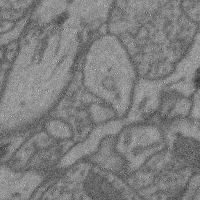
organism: Mouse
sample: Cerebral cortex